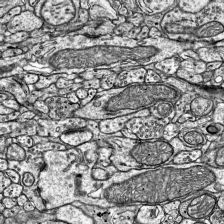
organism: Mouse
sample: Visual Cortex